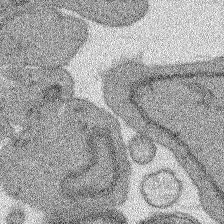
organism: Human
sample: HeLa cells